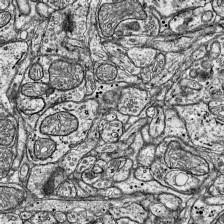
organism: Mouse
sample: Visual Cortex